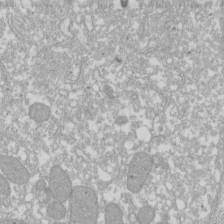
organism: Xenopus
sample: Cilia; centrioles in frog embryo cells